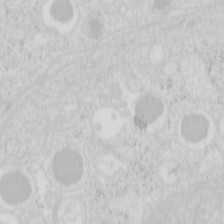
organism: Mouse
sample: Pancreas